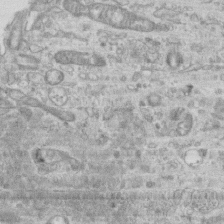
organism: Mouse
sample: Centriole in ependymal cells